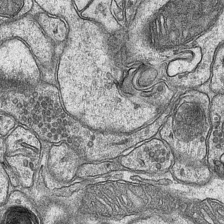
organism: Mouse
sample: CA1 Hippocampus